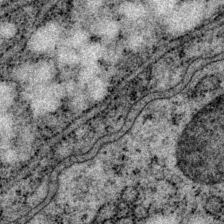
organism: P. pacificus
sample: Pharynx